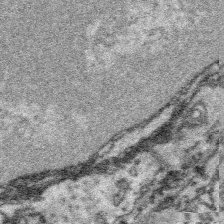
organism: Platynereis dumerilii